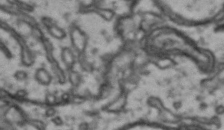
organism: Drosophila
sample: Brain